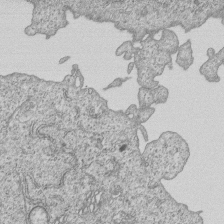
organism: Human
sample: MDA-MB-231 cells